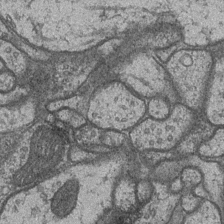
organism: Drosophila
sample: Optic medulla